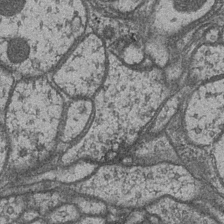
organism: Drosophila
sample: Optic medulla